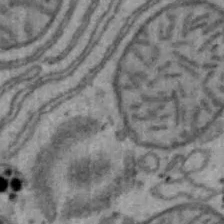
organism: Mouse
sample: Liver